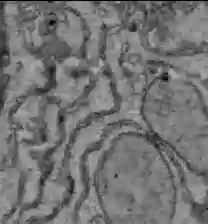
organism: C57BL Mouse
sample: Liver